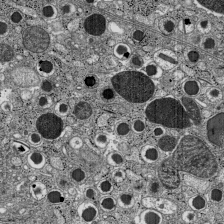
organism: C57BL Mouse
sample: Pancreatic islet